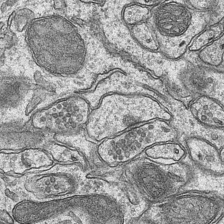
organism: Mouse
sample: CA1 Hippocampus